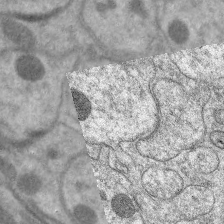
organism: C. elegans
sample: Pharynx